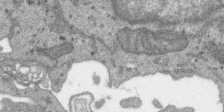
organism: Human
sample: Lung epithelial cells infected with SARS-CoV-2